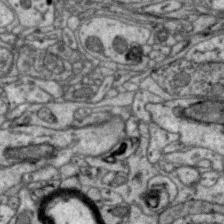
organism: Zebra finch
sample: Brain